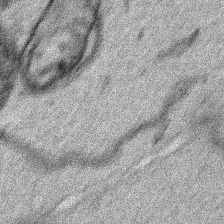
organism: Human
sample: Mitochondria in HCT116 cells